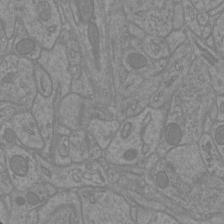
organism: Mouse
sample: Cortical neurons